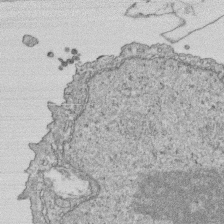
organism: Human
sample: HeLa cell HIV synapse